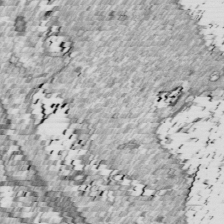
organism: Drosophila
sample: Cell division; meiosis; drosophila spermatocytes